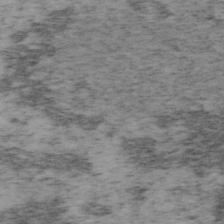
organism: Mouse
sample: OT-I killer T cells with ID8 ovarian cancer cells